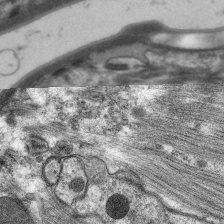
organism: C. elegans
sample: Pharynx